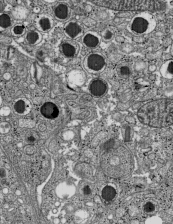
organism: C57BL Mouse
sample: Pancreatic islet